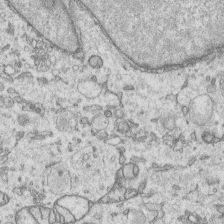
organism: Human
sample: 1205lu cells